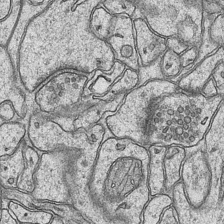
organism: Mouse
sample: CA1 Hippocampus